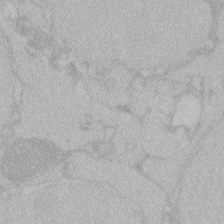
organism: Zebrafish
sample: Macrophage infected with Toxoplasma gondii